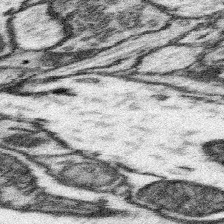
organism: Mouse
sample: Somatosensory cortex neuropil